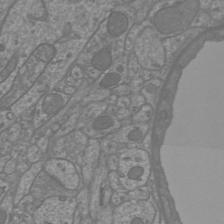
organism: Mouse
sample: Cortical neurons